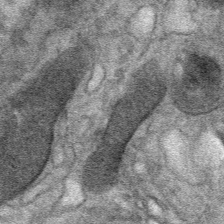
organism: Mouse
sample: Mouse Salivary gland